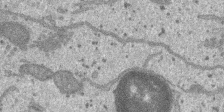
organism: Human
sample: Lung epithelial cells infected with SARS-CoV-2